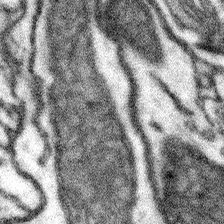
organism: Mouse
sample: Somatosensory cortex neuropil